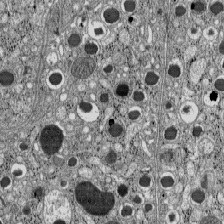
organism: C57BL Mouse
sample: Pancreatic islet